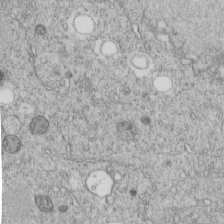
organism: C. elegans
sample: C. elegans embryo early stage